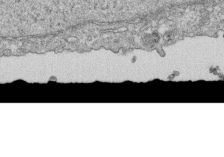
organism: Human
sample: HeLa cell HIV synapse